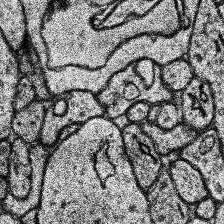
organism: Human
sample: Temporal Lobe